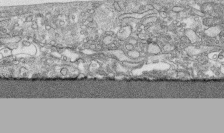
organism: Human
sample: CRL-1474